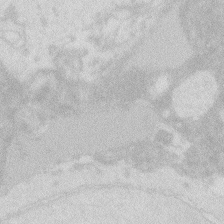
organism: Zebrafish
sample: Macrophage